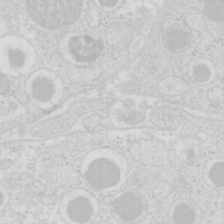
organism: Mouse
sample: Pancreas